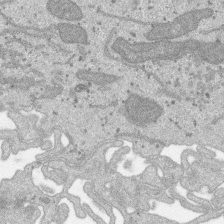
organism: Human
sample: Lung epithelial cells infected with SARS-CoV-2